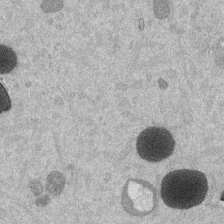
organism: Mouse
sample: Dividing mouse embryo 1 cell stage